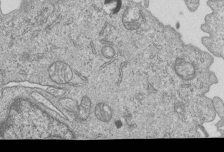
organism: Human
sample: MDA-MB-231 cells